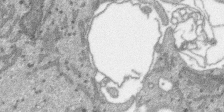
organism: Human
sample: Lung epithelial cells infected with SARS-CoV-2